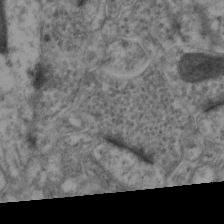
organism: Mouse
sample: Neocortex